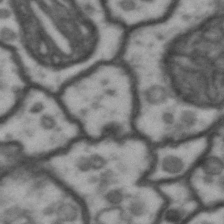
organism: Drosophila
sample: Brain